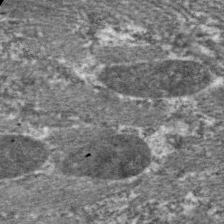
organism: C. elegans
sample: Pharynx